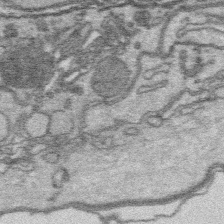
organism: Platynereis dumerilii